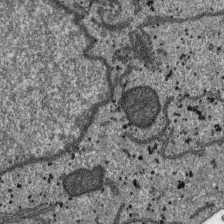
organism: Human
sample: Lung epithelial cells infected with SARS-CoV-2